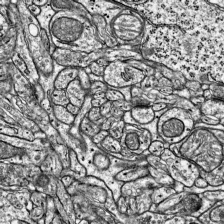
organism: Mouse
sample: Visual Cortex